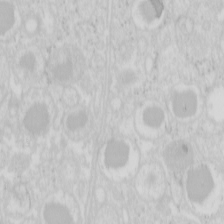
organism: Mouse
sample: Pancreas